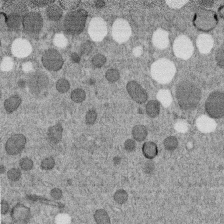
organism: C. elegans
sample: C. elegans embryo early stage